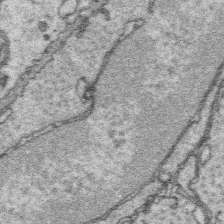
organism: Platynereis dumerilii